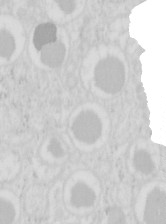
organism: Mouse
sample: Pancreas